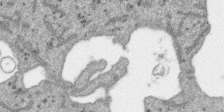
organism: Human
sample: Lung epithelial cells infected with SARS-CoV-2